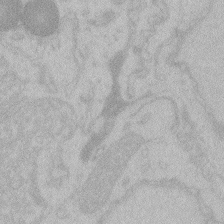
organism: Zebrafish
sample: Macrophage infected with Toxoplasma gondii